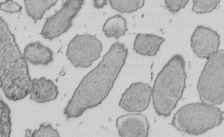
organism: E. coli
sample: Bacterial nucleoid